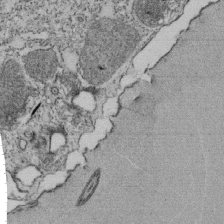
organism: Tetrahymena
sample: Cilia in tetrahymena